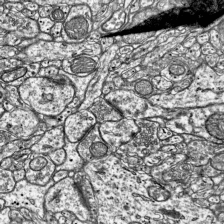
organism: Mouse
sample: Visual Cortex